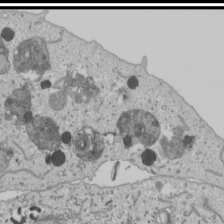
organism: Human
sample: Mitochondria in U2OS cells